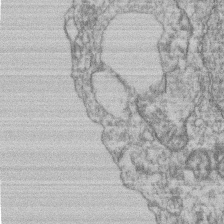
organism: Mouse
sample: T cell stromal cell synapse